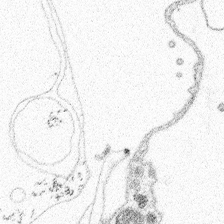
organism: Spongilla lacustris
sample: Multiple